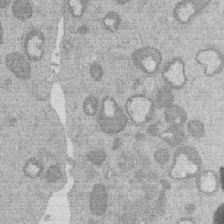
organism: Mouse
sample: Dividing mouse embryo 1 cell stage